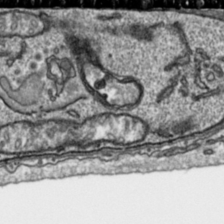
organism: Toxoplasma gondii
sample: Parasites in a vacuole inside a host cell